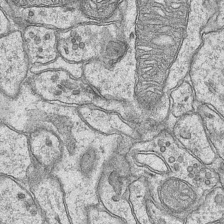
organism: Mouse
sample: CA1 Hippocampus